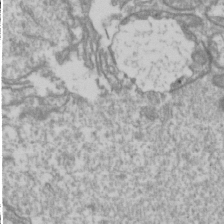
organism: Drosophila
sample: Cell division; meiosis; drosophila spermatocytes